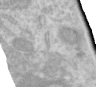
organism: Human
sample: Centriole in RPE cells